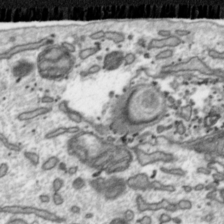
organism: Toxoplasma gondii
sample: Parasites in a vacuole inside a host cell